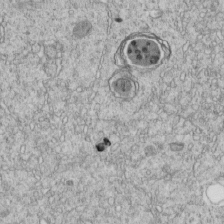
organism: C. elegans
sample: C. elegans embryo early stage